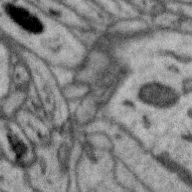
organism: Zebra finch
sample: Brain